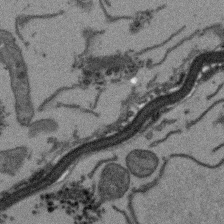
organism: Arabidopsis thaliana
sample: Root tip